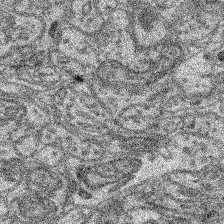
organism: Mouse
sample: Retina